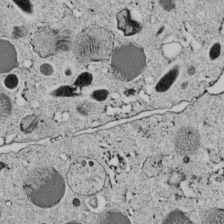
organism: C. elegans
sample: C. elegans embryo early stage